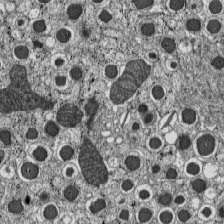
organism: C57BL Mouse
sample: Pancreatic islet